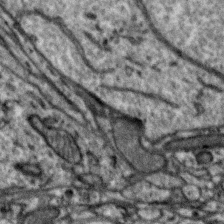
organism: Zebra finch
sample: Brain